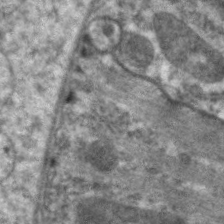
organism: C. elegans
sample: Pharynx